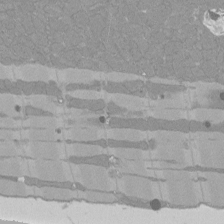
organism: Rat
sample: Left ventricle